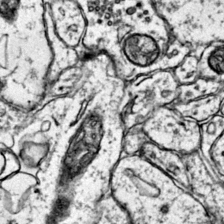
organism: Mouse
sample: Primary visual cortex